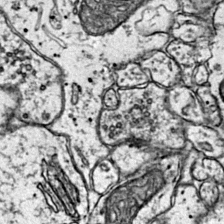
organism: Mouse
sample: Primary visual cortex